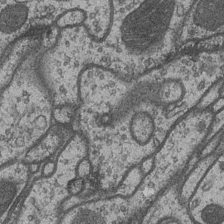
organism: Drosophila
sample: Optic medulla